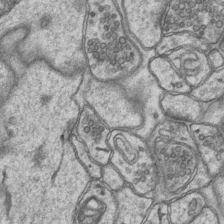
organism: Mouse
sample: CA1 Hippocampus